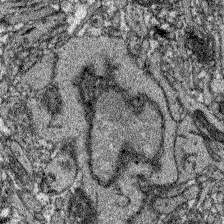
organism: Zebrafish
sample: Larval olfactory bulb